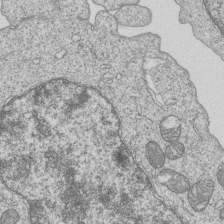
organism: Human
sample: MDA-MB-231 cells